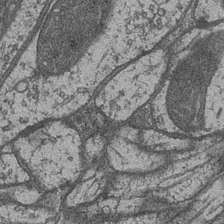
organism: Drosophila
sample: Optic medulla